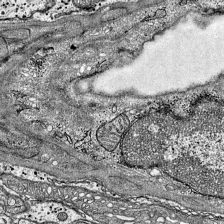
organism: Mouse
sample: Visual Cortex